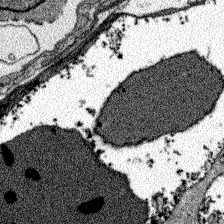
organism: Zebrafish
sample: Larval olfactory bulb